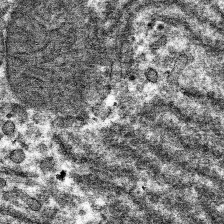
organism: Mouse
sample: Mouse hepatocytes